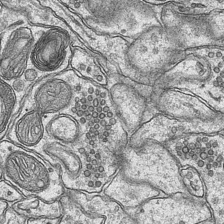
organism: Mouse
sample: CA1 Hippocampus